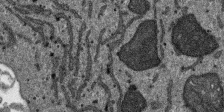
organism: Human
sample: Lung epithelial cells infected with SARS-CoV-2